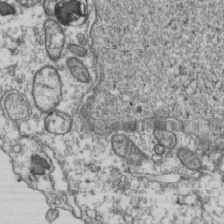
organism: Human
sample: Activated Jurkat CD4+ T cells